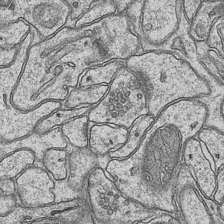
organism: Mouse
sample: CA1 Hippocampus